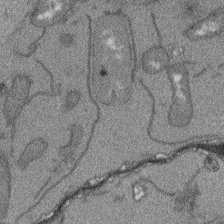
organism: Arabidopsis thaliana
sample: Root tip